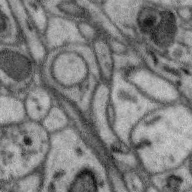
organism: Zebra finch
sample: Brain